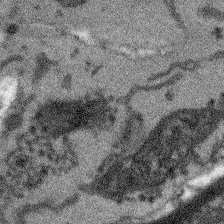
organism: Arabidopsis thaliana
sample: Root tip